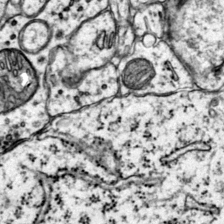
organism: Mouse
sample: Primary visual cortex